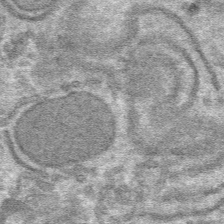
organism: Mouse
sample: Mouse hepatocytes